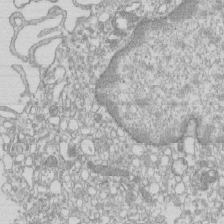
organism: Mouse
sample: Macrophages